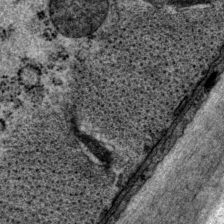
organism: P. pacificus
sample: Pharynx